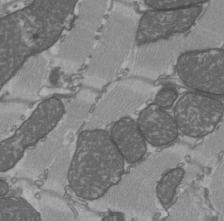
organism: C57BL Mouse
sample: Heart